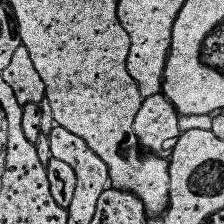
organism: Human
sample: Temporal Lobe